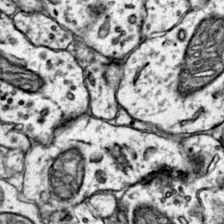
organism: Mouse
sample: Primary visual cortex